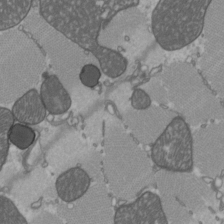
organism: C57BL Mouse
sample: Heart